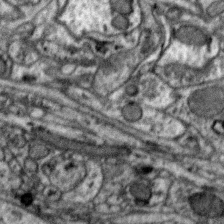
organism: Zebra finch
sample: Brain